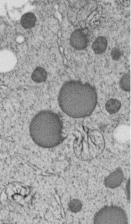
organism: C. elegans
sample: C. elegans embryo early stage